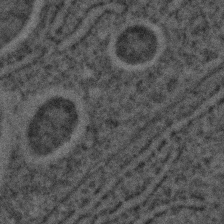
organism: C. elegans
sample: C. elegans embryo